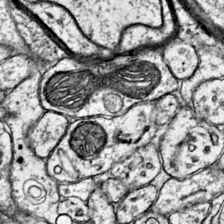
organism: Mouse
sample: Primary visual cortex